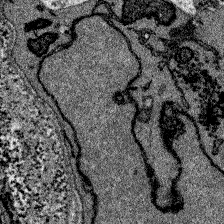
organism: Zebrafish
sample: Larval olfactory bulb